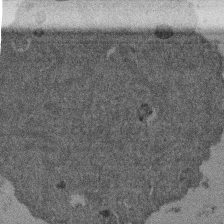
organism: Mouse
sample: Dividing mouse embryo 1 cell stage